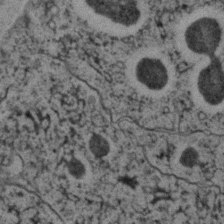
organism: C. elegans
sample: C. elegans embryo